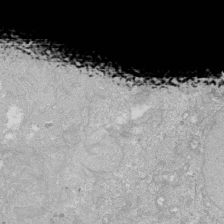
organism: Human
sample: Caco-2 cells